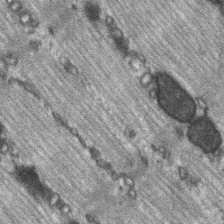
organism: C57BL Mouse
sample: Soleus